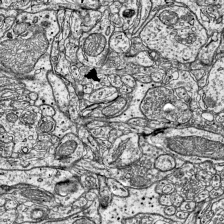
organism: Mouse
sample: Visual Cortex